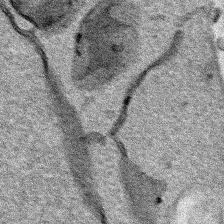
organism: Human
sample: Mitochondria in HCT116 cells